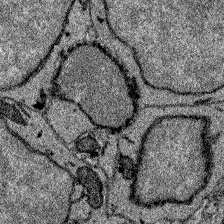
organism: Zebrafish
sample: Larval olfactory bulb